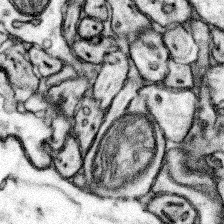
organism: Mouse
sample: Somatosensory cortex neuropil